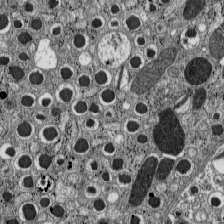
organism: C57BL Mouse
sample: Pancreatic islet